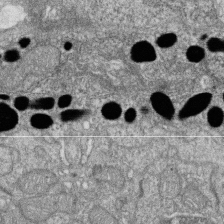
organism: Zebrafish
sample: Cilia; retinal pigment epithelium